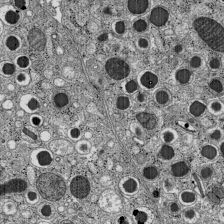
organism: C57BL Mouse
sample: Pancreatic islet